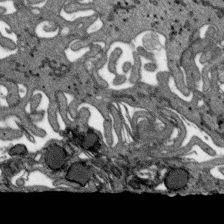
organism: Human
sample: Lung epithelial cells, uninfected (mock) control